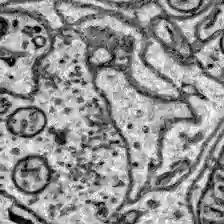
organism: Zebrafish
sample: Brain